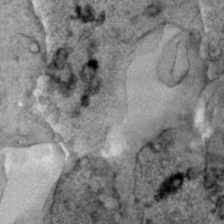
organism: Human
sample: Mitochondria in HCT116 cells